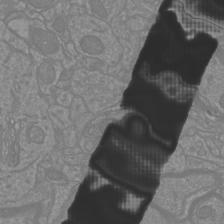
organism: Mouse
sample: Cortical neurons